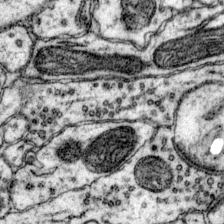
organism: Mouse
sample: Primary visual cortex